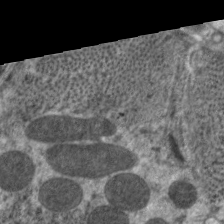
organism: C. elegans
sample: Pharynx